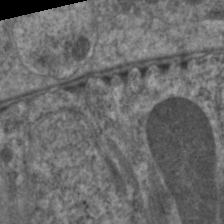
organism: C. elegans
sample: Pharynx